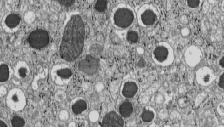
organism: C57BL Mouse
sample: Pancreatic islet